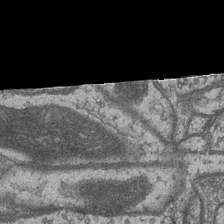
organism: Drosophila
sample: Optic medulla